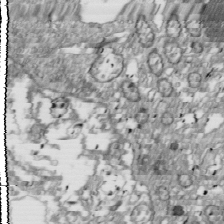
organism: Drosophila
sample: Cell division; meiosis; drosophila spermatocytes